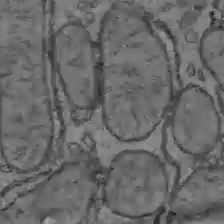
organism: C57BL Mouse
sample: Liver